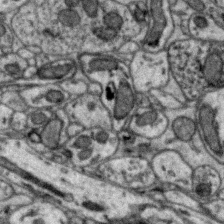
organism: Zebra finch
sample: Brain